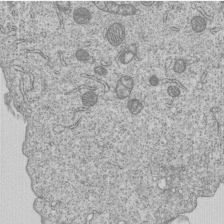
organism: Human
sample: MDA-MB-231 cells